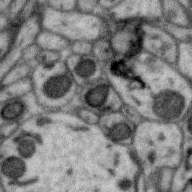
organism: Zebra finch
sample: Brain